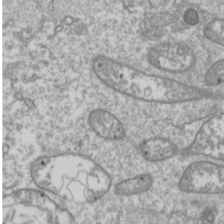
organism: Drosophila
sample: Cell division; meiosis; drosophila spermatocytes